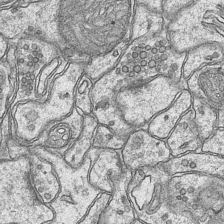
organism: Mouse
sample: CA1 Hippocampus